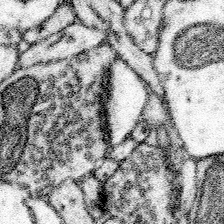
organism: Mouse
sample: Somatosensory cortex neuropil